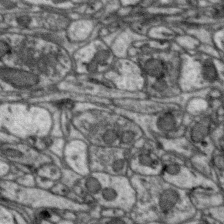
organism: Zebra finch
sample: Brain